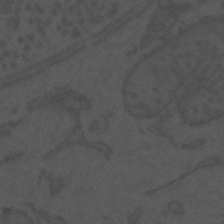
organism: Mouse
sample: Suprachiasmatic nucleus